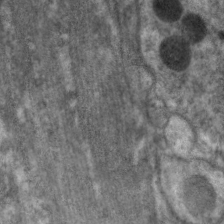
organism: C. elegans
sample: Pharynx